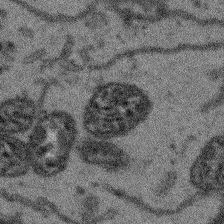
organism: Arabidopsis thaliana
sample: Root tip